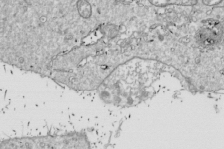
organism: Drosophila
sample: Cell division; meiosis; drosophila spermatocytes